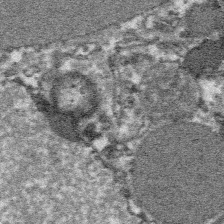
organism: Platynereis dumerilii